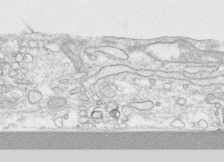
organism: Human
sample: CRL-1474